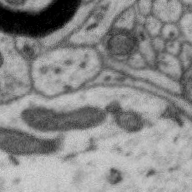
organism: Zebra finch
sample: Brain